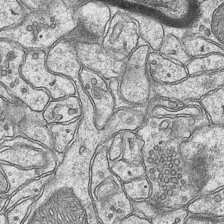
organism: Mouse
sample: CA1 Hippocampus